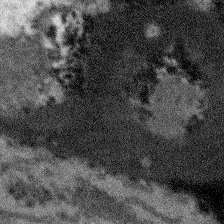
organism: Arabidopsis thaliana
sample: Root tip